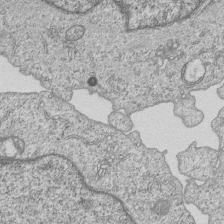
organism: Human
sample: MDA-MB-231 cells